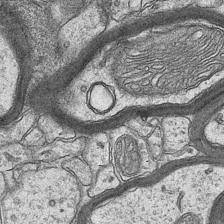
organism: Mouse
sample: CA1 Hippocampus